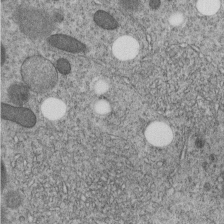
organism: C. elegans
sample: C. elegans embryo early stage